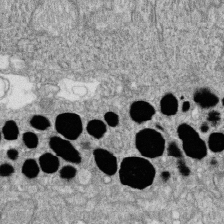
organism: Zebrafish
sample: Cilia; retinal pigment epithelium